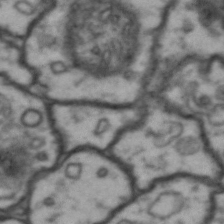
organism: Drosophila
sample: Brain